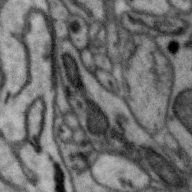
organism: Zebra finch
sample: Brain